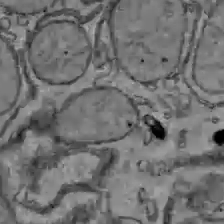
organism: C57BL Mouse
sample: Liver